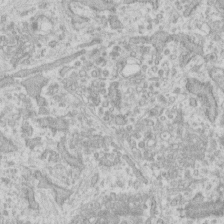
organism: Human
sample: Fibroblast cells